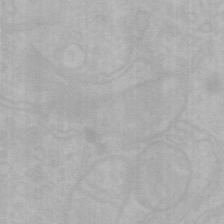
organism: Mouse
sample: Choroid plexus